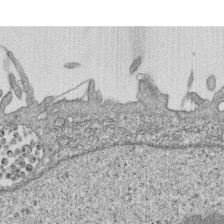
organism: Human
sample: HeLa cell HIV synapse